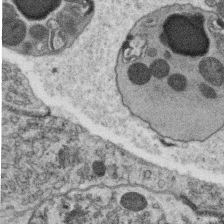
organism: C. elegans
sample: C. elegans oocyte; sperm cells